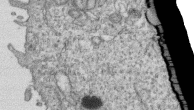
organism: Human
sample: HeLa cell HIV synapse